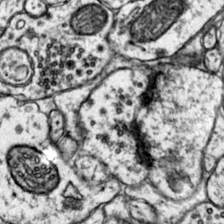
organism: Mouse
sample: Primary visual cortex